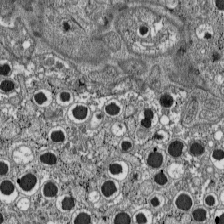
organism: C57BL Mouse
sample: Pancreatic islet